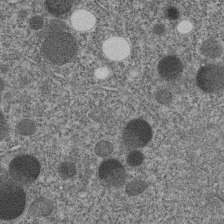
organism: C. elegans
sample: C. elegans embryo early stage